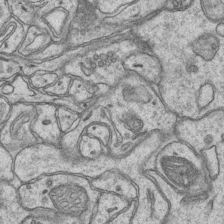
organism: Mouse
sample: CA1 Hippocampus